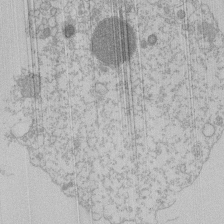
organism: Mouse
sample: Activated Pmel transgenic CD8+ T Cells